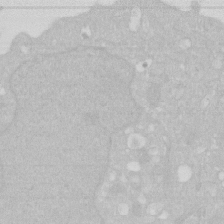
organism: Human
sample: HIV infected U937 cells